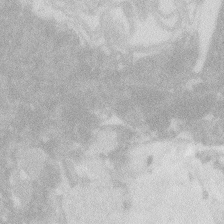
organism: Zebrafish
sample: Macrophage